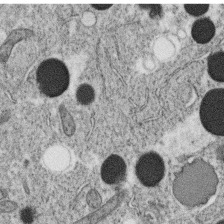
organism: C. elegans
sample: C. elegans oocyte; sperm cells